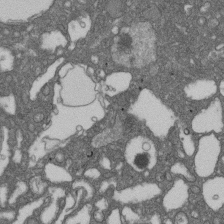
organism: Drosophila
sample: Nephrocyte